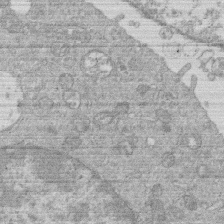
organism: Human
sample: Macrophage cells